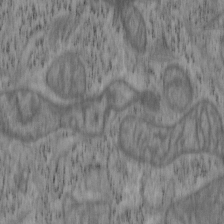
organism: Human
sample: HeLa cells